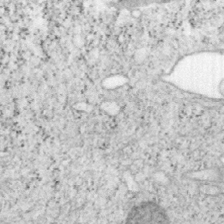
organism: Mouse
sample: OT-I killer T cells with ID8 ovarian cancer cells